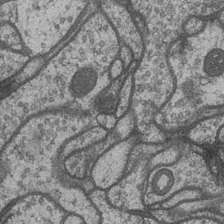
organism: Drosophila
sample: Optic medulla